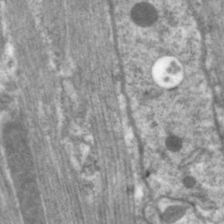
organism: C. elegans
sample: Pharynx